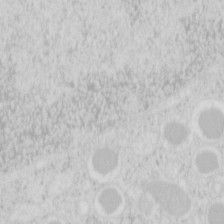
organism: Mouse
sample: Pancreas